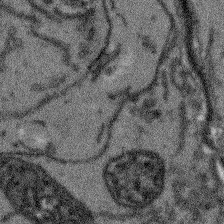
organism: Arabidopsis thaliana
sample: Root tip